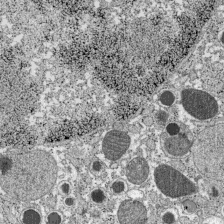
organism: C57BL Mouse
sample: Pancreatic islet